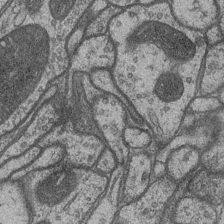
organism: Drosophila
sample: Optic medulla